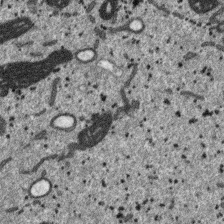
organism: Human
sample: Lung epithelial cells infected with SARS-CoV-2